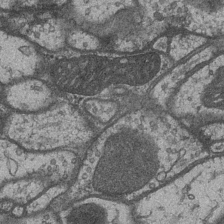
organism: Drosophila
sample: Optic medulla